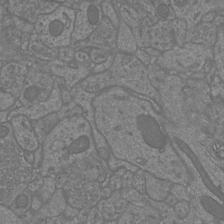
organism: Mouse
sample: Cortical neurons